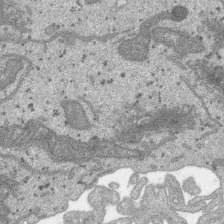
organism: Human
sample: Lung epithelial cells infected with SARS-CoV-2